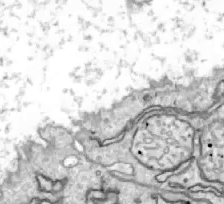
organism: Zebrafish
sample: Actinotrichia fibers